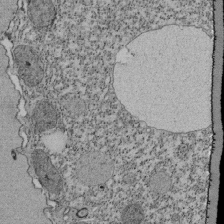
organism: Tetrahymena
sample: Cilia in tetrahymena